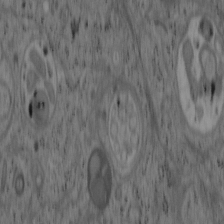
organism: Human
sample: HeLa cells